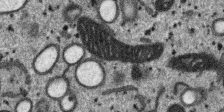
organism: Human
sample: Lung epithelial cells infected with SARS-CoV-2